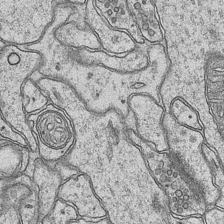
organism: Mouse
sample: CA1 Hippocampus